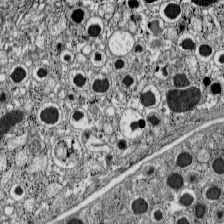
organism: C57BL Mouse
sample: Pancreatic islet